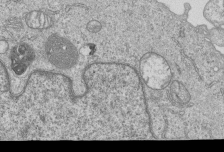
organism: Human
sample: MDA-MB-231 cells